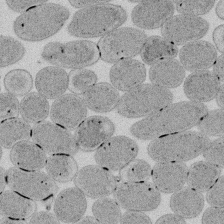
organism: E. coli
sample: Bacterial nucleoid